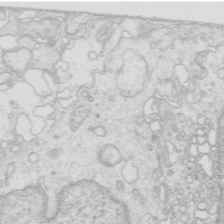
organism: Mouse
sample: Multiciliated cells